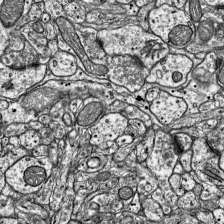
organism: Mouse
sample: Visual Cortex